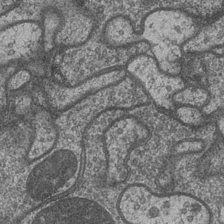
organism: Drosophila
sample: Optic medulla